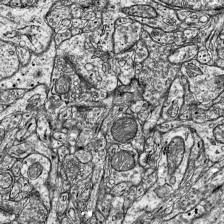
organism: Mouse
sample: Visual Cortex